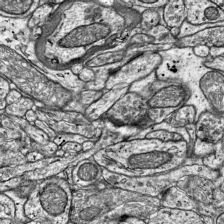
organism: Mouse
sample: Visual Cortex